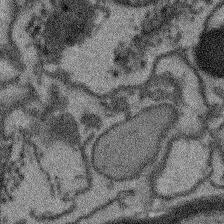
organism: Arabidopsis thaliana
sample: Root tip